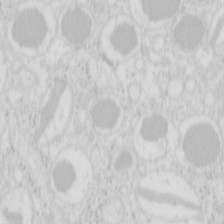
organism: Mouse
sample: Pancreas